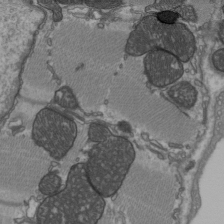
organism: C57BL Mouse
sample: Heart